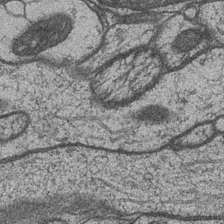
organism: Drosophila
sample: Optic medulla